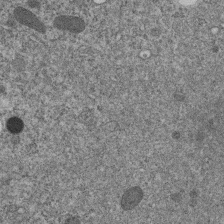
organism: C. elegans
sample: C. elegans embryo early stage